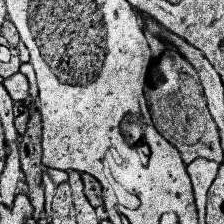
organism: Human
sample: Temporal Lobe